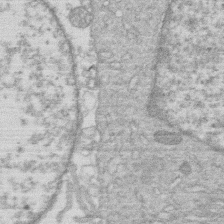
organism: Human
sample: Macrophage cells